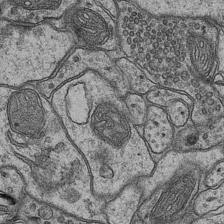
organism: Mouse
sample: CA1 Hippocampus